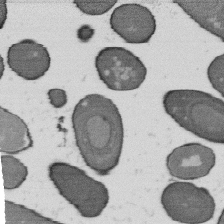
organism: B. subtilis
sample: Bacterial spore